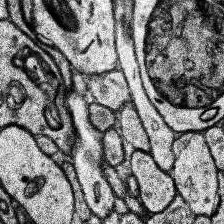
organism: Human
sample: Temporal Lobe